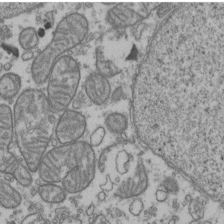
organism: Human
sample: Activated Jurkat CD4+ T cells